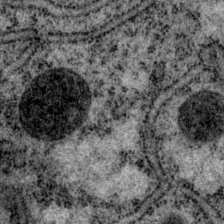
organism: P. pacificus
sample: Pharynx